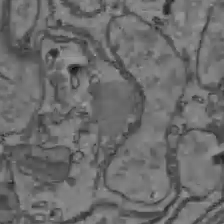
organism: C57BL Mouse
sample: Liver